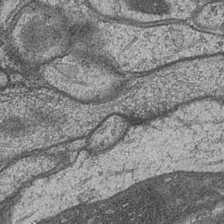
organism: Drosophila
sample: Optic medulla